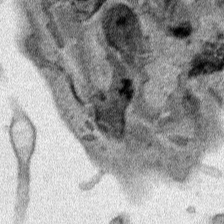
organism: Human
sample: Mitochondria in HCT116 cells